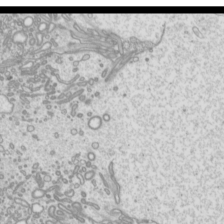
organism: Mouse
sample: Cilia; mouse epididymis